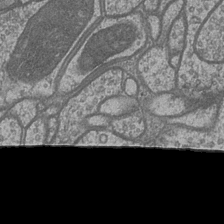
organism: Drosophila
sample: Optic medulla